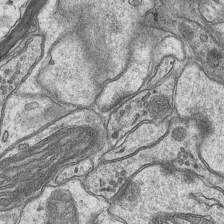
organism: Mouse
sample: CA1 Hippocampus